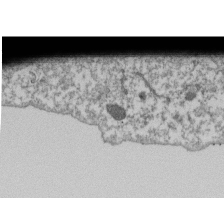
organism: Dictyostelium discoideum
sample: Dictyostelium multivesicular bodies